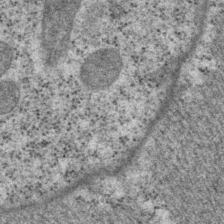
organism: P. pacificus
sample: Pharynx